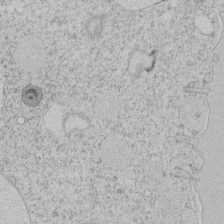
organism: Tetrahymena